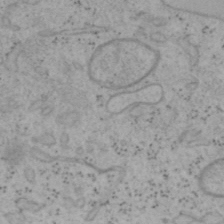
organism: Human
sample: HeLa cells